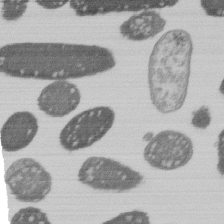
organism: E. coli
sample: Bacterial nucleoid